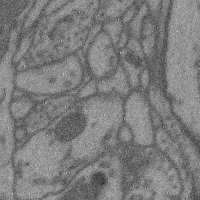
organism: Mouse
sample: Cerebral cortex